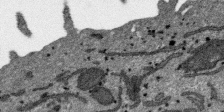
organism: Human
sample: Lung epithelial cells, uninfected (mock) control